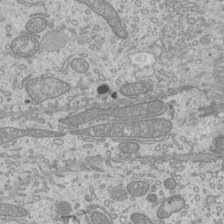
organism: Mouse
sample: Cilia; mouse epididymis